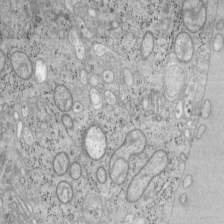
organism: Mouse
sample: OT-I killer T cells with ID8 ovarian cancer cells